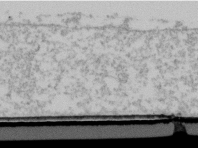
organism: Human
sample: U2-OS cells